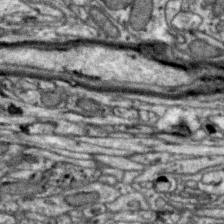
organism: Zebra finch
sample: Brain